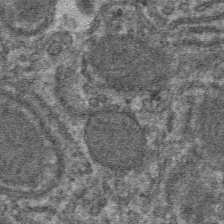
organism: Mouse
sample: Mouse hepatocytes